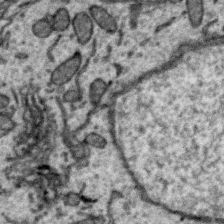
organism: Zebra finch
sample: Brain